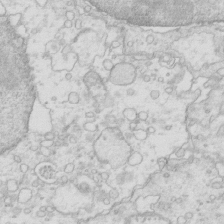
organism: Mouse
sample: Multiciliated cells